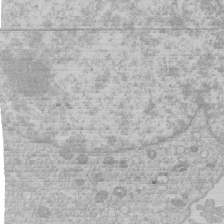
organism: Human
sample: Macrophage cells